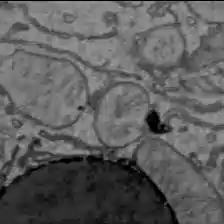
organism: C57BL Mouse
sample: Liver